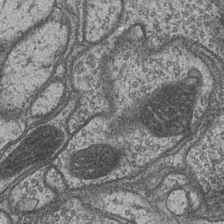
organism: Drosophila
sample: Optic medulla